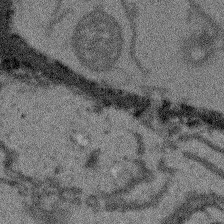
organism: Arabidopsis thaliana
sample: Root tip